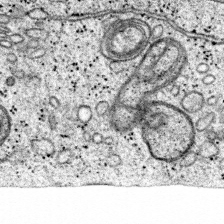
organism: Human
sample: HeLa cells